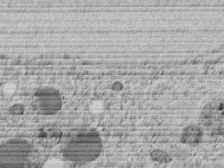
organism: C. elegans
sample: C. elegans embryo early stage